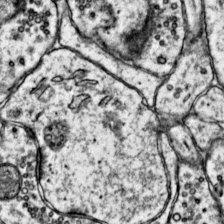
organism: Mouse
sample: Primary visual cortex